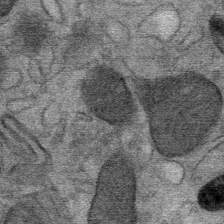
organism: Mouse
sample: Mouse Salivary gland